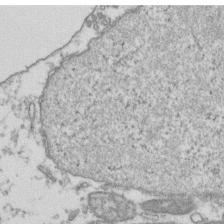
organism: Human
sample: Activated Jurkat CD4+ T cells